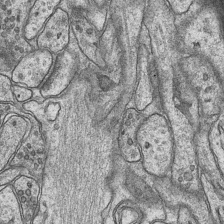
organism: Mouse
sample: CA1 Hippocampus